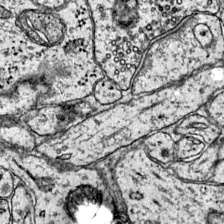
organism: Mouse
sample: Primary visual cortex